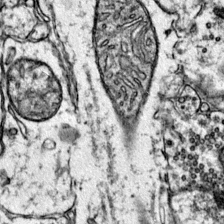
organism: Mouse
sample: Primary visual cortex